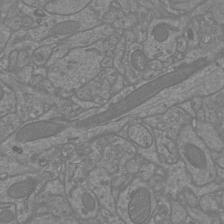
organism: Mouse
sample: Cortical neurons